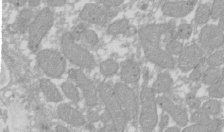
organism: Xenopus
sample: Cilia; centrioles in frog embryo cells